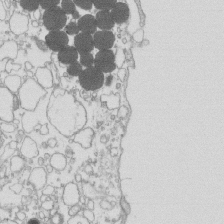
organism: Mouse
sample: Macrophages